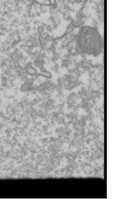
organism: Drosophila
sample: Cell division; meiosis; drosophila spermatocytes